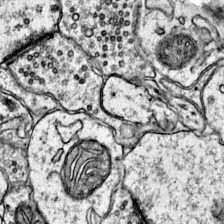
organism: Mouse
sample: Primary visual cortex